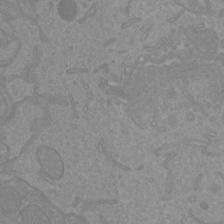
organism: Mouse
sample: Cortical neurons